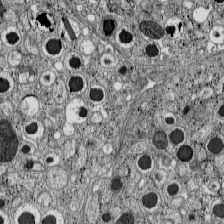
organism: C57BL Mouse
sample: Pancreatic islet